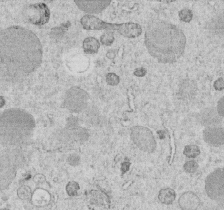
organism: C. elegans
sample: C. elegans embryo early stage